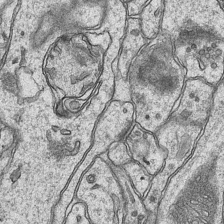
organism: Mouse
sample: CA1 Hippocampus